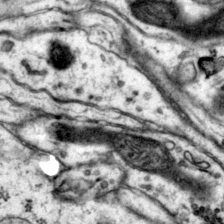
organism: Mouse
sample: Primary visual cortex